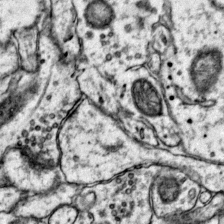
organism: Mouse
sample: Primary visual cortex